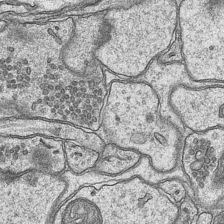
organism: Mouse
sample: CA1 Hippocampus